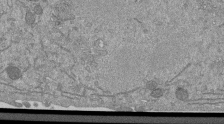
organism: Mouse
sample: ED-1 cell nuclei; centrioles